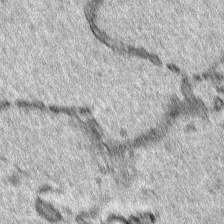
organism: Human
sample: Mitochondria in HCT116 cells